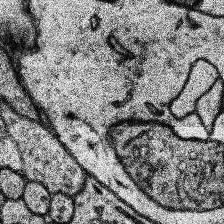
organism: Human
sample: Temporal Lobe